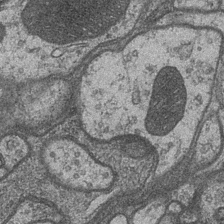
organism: Drosophila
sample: Optic medulla